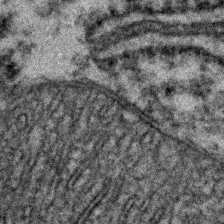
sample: Kidney